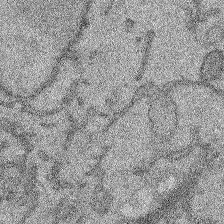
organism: Human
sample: HeLa cells